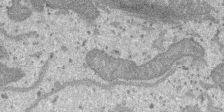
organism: Human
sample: Lung epithelial cells infected with SARS-CoV-2